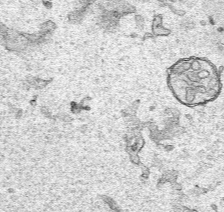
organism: Human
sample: Mitochondria in HCT116 cells